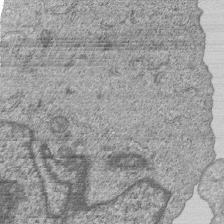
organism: Human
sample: MDA-MB-231 cells